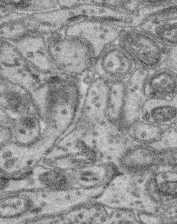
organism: Mouse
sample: Retina